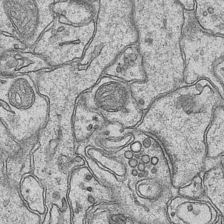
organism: Mouse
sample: CA1 Hippocampus